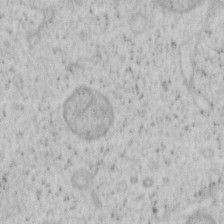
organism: Human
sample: HeLa cells